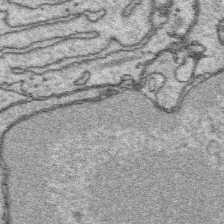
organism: Platynereis dumerilii